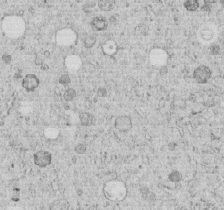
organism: C. elegans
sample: C. elegans embryo early stage